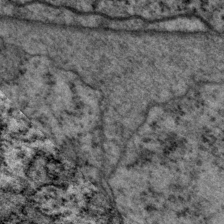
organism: P. pacificus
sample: Pharynx